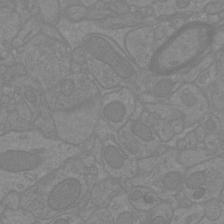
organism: Mouse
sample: Cortical neurons